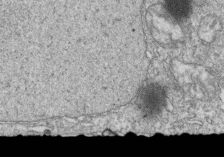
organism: Human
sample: HeLa cell HIV synapse